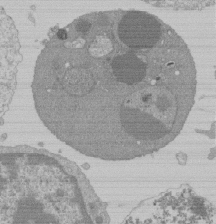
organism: Mouse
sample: Activated Pmel transgenic CD8+ T Cells